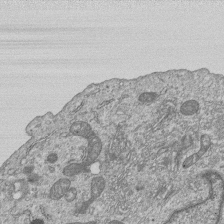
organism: Human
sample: MDA-MB-231 cells